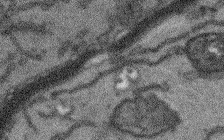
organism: Arabidopsis thaliana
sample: Root tip